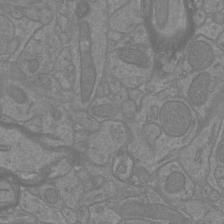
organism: Mouse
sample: Cortical neurons